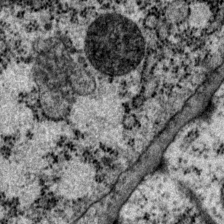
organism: P. pacificus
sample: Pharynx